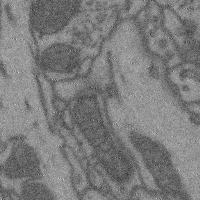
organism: Mouse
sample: Cerebral cortex